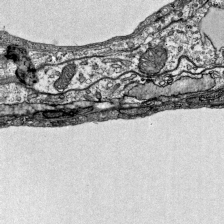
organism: Mouse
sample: Visual Cortex